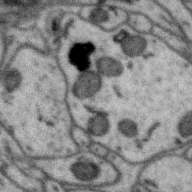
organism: Zebra finch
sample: Brain